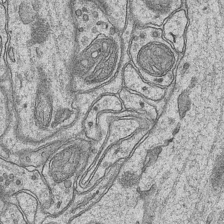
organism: Mouse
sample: CA1 Hippocampus